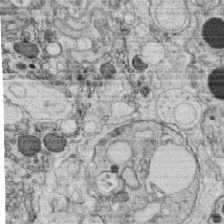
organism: C. elegans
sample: C. elegans oocyte; sperm cells